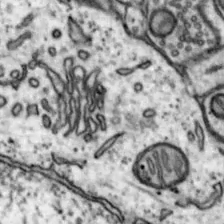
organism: Mouse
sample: Nucleus accumbens